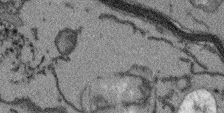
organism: Arabidopsis thaliana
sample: Root tip